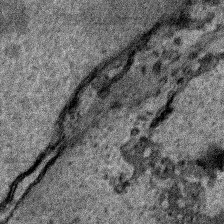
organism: Human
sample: Mitochondria in HCT116 cells